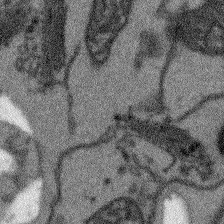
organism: Arabidopsis thaliana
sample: Root tip